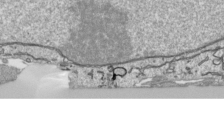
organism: Human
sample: Mitochondria in HCT116 cells